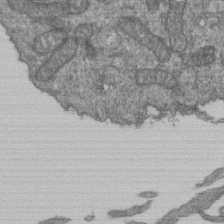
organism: Human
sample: Retinal organoid Rod and Cone cells